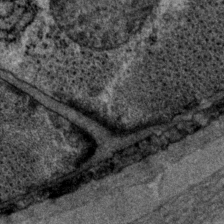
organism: P. pacificus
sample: Pharynx